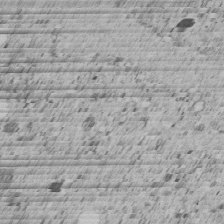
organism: C. elegans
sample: C. elegans embryo early stage